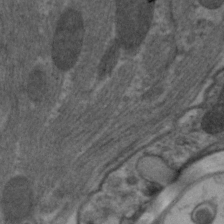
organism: C. elegans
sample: Pharynx